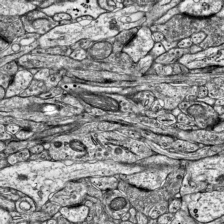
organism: Mouse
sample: Visual Cortex